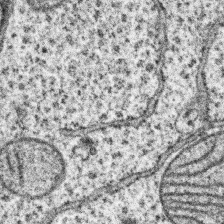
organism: Human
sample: HeLa cells